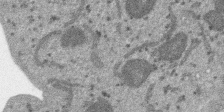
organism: Human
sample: Lung epithelial cells infected with SARS-CoV-2